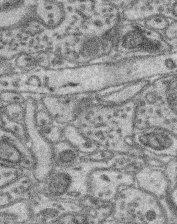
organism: Mouse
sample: Retina